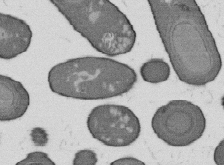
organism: B. subtilis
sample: Bacterial spore